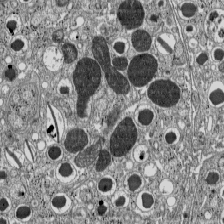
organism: C57BL Mouse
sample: Pancreatic islet